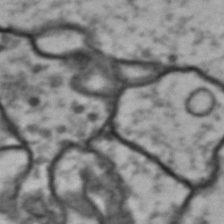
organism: Drosophila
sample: Brain